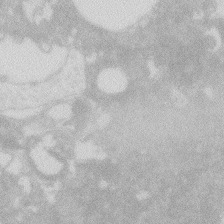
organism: Zebrafish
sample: Macrophage